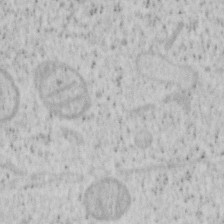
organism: Human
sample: HeLa cells